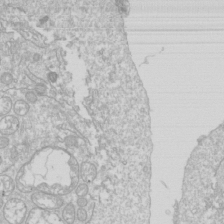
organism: Drosophila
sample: Cell division; meiosis; drosophila spermatocytes